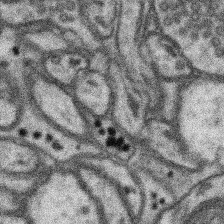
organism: Mouse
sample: Somatosensory cortex neuropil